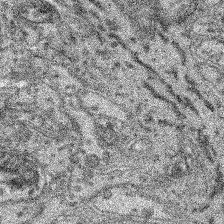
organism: Mouse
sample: Retina